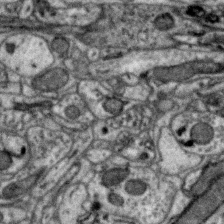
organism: Zebra finch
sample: Brain